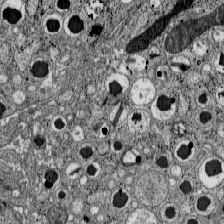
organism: C57BL Mouse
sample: Pancreatic islet